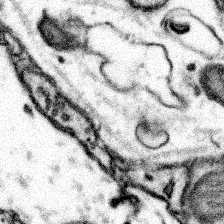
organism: Mouse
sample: Somatosensory cortex neuropil